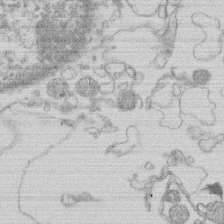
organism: Human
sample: Macrophage cells